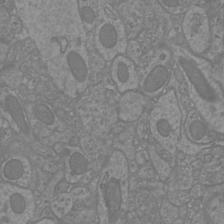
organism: Mouse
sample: Cortical neurons